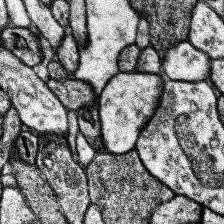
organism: Human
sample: Temporal Lobe